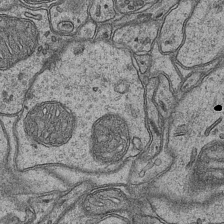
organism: Mouse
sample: CA1 Hippocampus